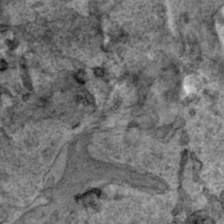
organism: Human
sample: Mitochondria in HCT116 cells